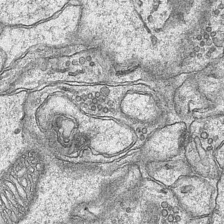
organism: Mouse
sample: CA1 Hippocampus